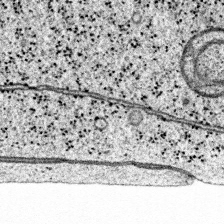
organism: Human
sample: HeLa cells